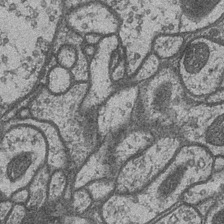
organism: Drosophila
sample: Optic medulla